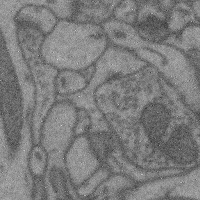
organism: Mouse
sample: Cerebral cortex